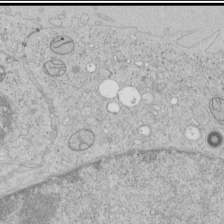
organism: Human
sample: Mitochondria in HCT116 cells